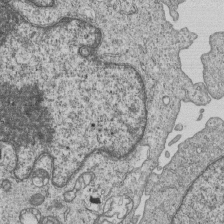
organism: Human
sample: MDA-MB-231 cells